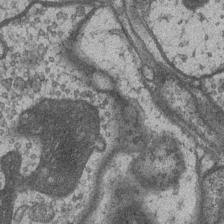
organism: Drosophila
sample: Optic medulla